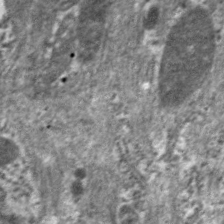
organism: C. elegans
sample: Pharynx